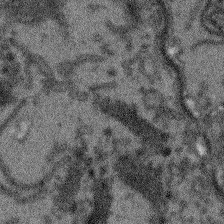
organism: Arabidopsis thaliana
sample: Root tip